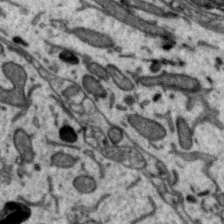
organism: Zebra finch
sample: Brain